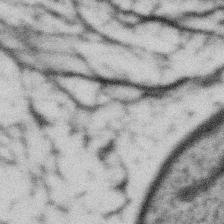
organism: Gemmata obscuriglobus